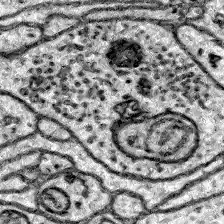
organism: Zebrafish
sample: Brain